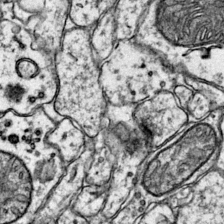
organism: Mouse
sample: Primary visual cortex